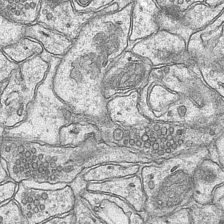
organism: Mouse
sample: CA1 Hippocampus